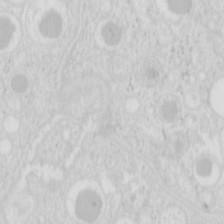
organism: Mouse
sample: Pancreas